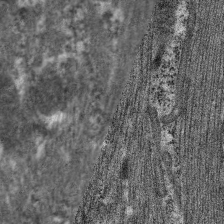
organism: C. elegans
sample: Pharynx